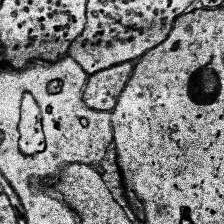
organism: Human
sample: Temporal Lobe